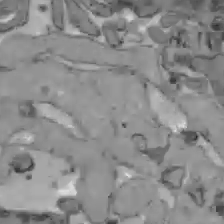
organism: C57BL Mouse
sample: Liver